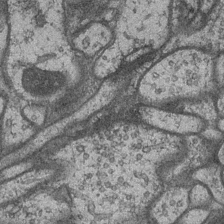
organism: Drosophila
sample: Optic medulla